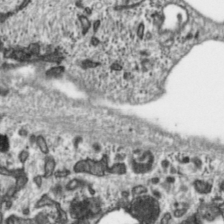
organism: Toxoplasma gondii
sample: Parasites in a vacuole inside a host cell